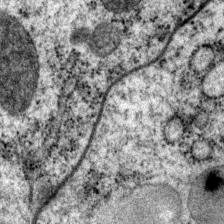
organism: P. pacificus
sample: Pharynx